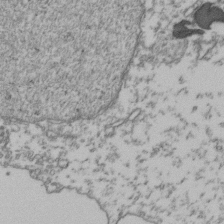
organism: Human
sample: Activated Jurkat CD4+ T cells